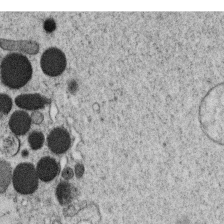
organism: C. elegans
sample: C. elegans oocyte; sperm cells